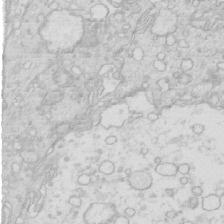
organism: Mouse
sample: Multiciliated cells